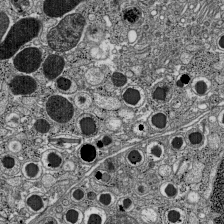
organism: C57BL Mouse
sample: Pancreatic islet